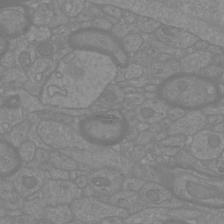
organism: Mouse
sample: Cortical neurons